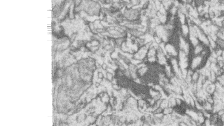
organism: Zebrafish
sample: synaptic ribbons in rod cells and cone cells